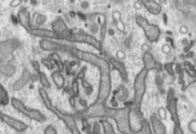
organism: Toxoplasma gondii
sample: Parasites in a vacuole inside a host cell